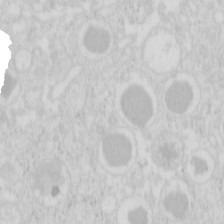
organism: Mouse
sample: Pancreas